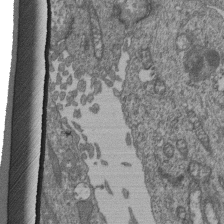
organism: Human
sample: Retinal organoid Rod and Cone cells